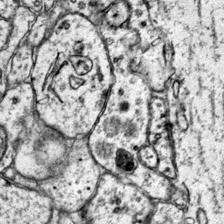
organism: Mouse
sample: Primary visual cortex